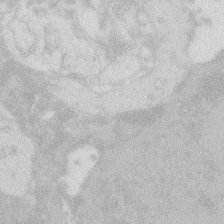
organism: Zebrafish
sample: Macrophage